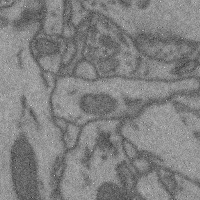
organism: Mouse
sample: Cerebral cortex